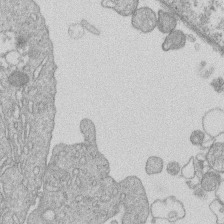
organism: Human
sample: Macrophage cells